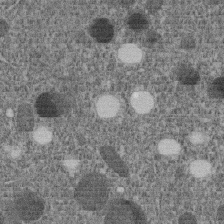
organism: C. elegans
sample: C. elegans embryo early stage